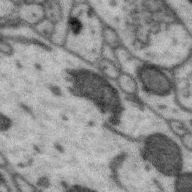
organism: Zebra finch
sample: Brain